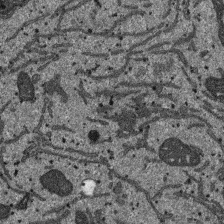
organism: Human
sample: Lung epithelial cells infected with SARS-CoV-2